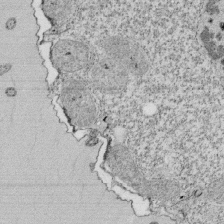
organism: Tetrahymena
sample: Cilia in tetrahymena